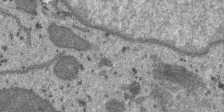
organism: Human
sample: Lung epithelial cells infected with SARS-CoV-2